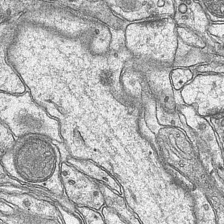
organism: Mouse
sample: CA1 Hippocampus